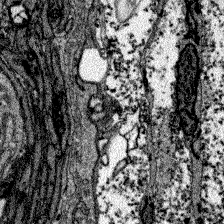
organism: Zebrafish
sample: Larval olfactory bulb